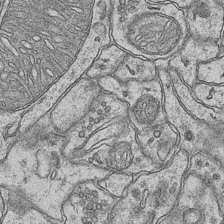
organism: Mouse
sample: CA1 Hippocampus